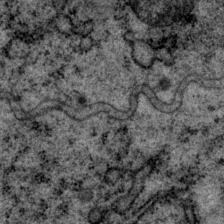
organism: P. pacificus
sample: Pharynx